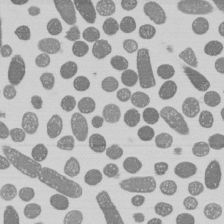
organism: E. coli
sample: Bacterial nucleoid